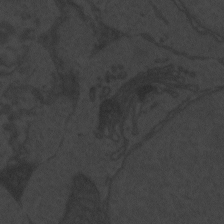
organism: Zebrafish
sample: Macrophage infected with Toxoplasma gondii